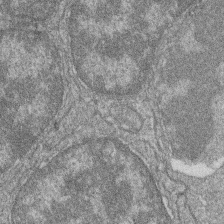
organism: Zebrafish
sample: Cilia; retinal pigment epithelium